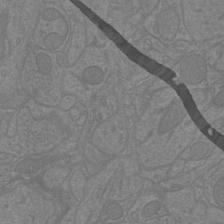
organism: Mouse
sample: Cortical neurons